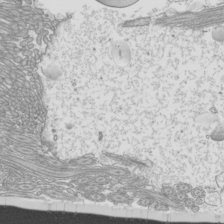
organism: Mouse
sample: Cilia; mouse epididymis